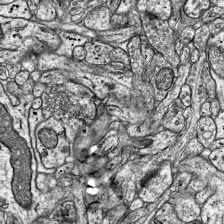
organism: Mouse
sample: Visual Cortex